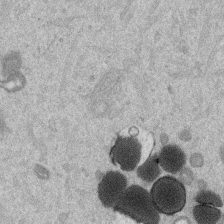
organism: Mouse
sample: Dividing mouse embryo 1 cell stage